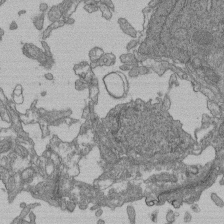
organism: Human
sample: Retinal organoid Rod and Cone cells